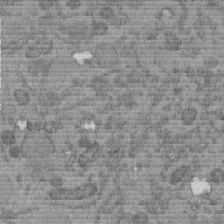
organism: C. elegans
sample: C. elegans embryo early stage